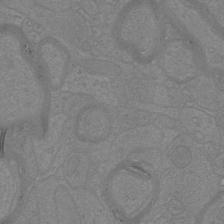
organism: Mouse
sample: Cortical neurons